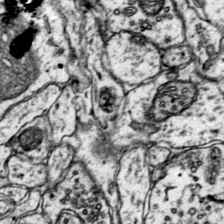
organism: Mouse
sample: Primary visual cortex